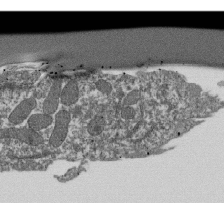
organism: Dictyostelium discoideum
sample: Dictyostelium multivesicular bodies